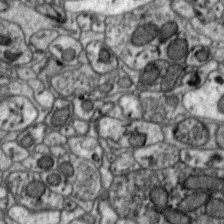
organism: Zebra finch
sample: Brain